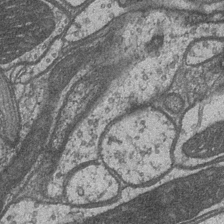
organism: Drosophila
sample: Optic medulla